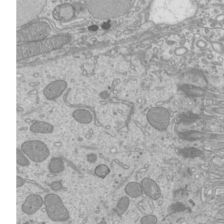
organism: Mouse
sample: Cilia; mouse epididymis